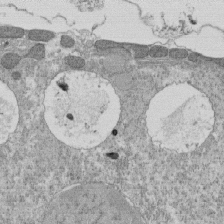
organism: Tetrahymena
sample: Cilia in tetrahymena